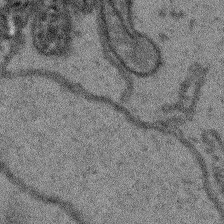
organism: Arabidopsis thaliana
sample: Root tip